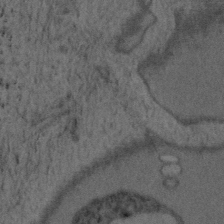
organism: Human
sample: HeLa cells